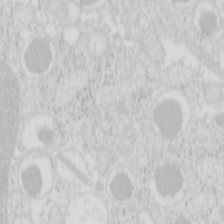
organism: Mouse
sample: Pancreas